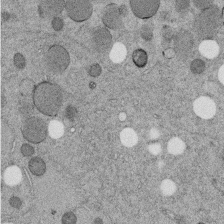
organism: C. elegans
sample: C. elegans embryo early stage